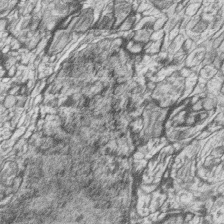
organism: Zebrafish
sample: synaptic ribbons in rod cells and cone cells